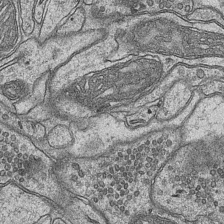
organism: Mouse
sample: CA1 Hippocampus